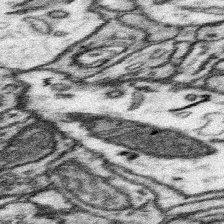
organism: Mouse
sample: Somatosensory cortex neuropil